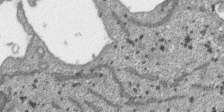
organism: Human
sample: Lung epithelial cells infected with SARS-CoV-2